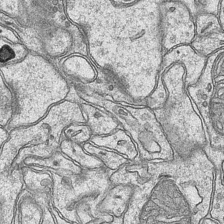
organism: Mouse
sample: CA1 Hippocampus